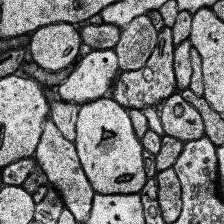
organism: Human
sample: Temporal Lobe